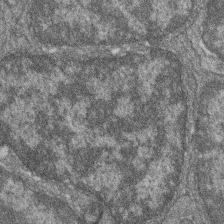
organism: Zebrafish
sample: Cilia; retinal pigment epithelium